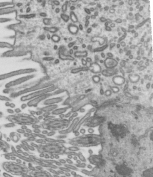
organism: Mouse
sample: Mouse epididymis efferent ductule cilia